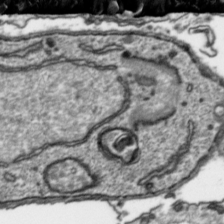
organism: Toxoplasma gondii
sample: Parasites in a vacuole inside a host cell